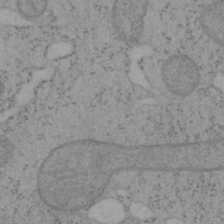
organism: Mouse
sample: OT-I killer T cells with ID8 ovarian cancer cells